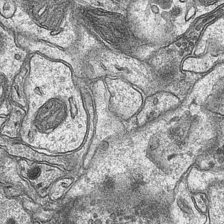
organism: Mouse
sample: CA1 Hippocampus